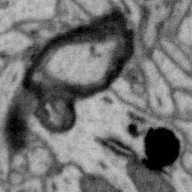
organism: Zebra finch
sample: Brain